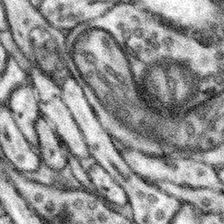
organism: Mouse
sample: Somatosensory cortex neuropil